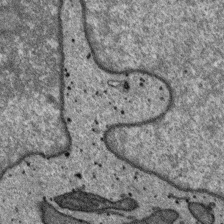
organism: Human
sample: Lung epithelial cells, uninfected (mock) control